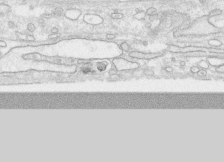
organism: Human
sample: CRL-1474